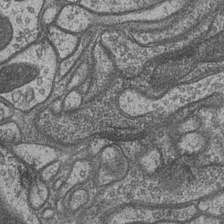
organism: Drosophila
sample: Optic medulla